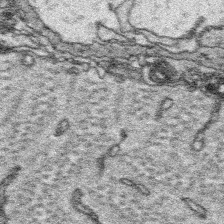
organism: Platynereis dumerilii